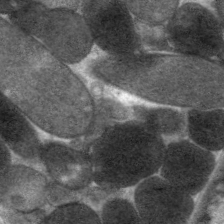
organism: C. elegans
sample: Pharynx